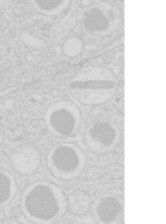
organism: Mouse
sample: Pancreas